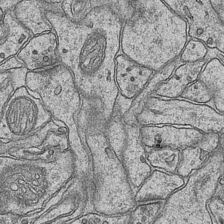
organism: Mouse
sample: CA1 Hippocampus